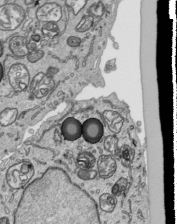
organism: Human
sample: Mitochondria in HCT116 cells